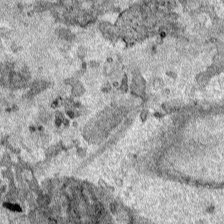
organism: Human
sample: Mitochondria in HCT116 cells